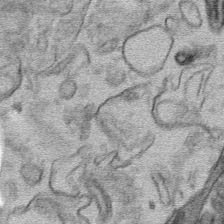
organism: Mouse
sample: Mouse hepatocytes